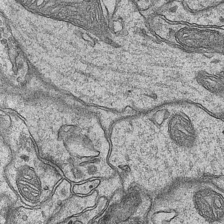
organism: Mouse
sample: CA1 Hippocampus